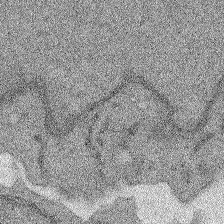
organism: Human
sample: HeLa cells